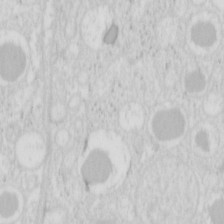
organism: Mouse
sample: Pancreas